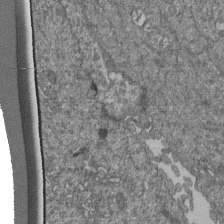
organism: Human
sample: Retinal organoid Rod and Cone cells